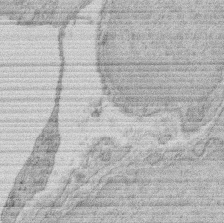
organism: Rat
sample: Salivary granule